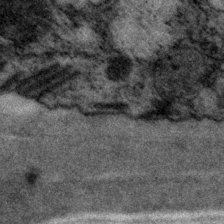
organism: P. pacificus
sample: Pharynx